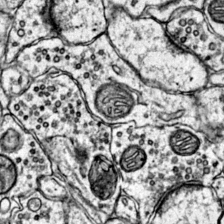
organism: Mouse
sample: Primary visual cortex